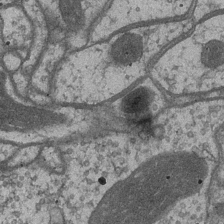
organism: Drosophila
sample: Optic medulla